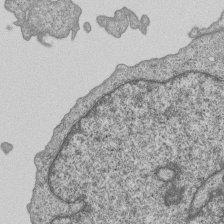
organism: Human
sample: MDA-MB-231 cells